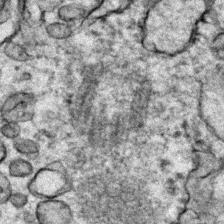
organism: Zebrafish